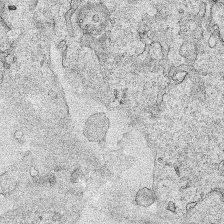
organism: Human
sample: Mitochondria in HCT116 cells